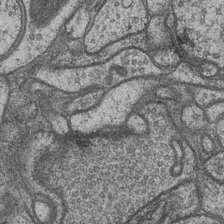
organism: Drosophila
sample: Optic medulla